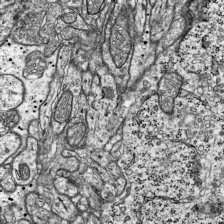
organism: Mouse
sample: Visual Cortex